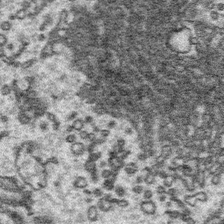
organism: Platynereis dumerilii